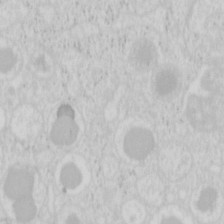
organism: Mouse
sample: Pancreas